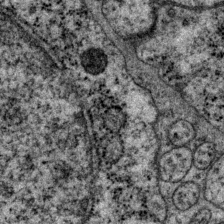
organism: P. pacificus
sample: Pharynx